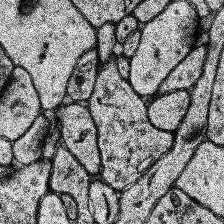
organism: Human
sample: Temporal Lobe